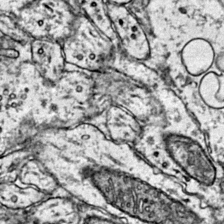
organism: Mouse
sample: Primary visual cortex